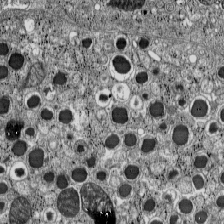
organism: C57BL Mouse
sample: Pancreatic islet